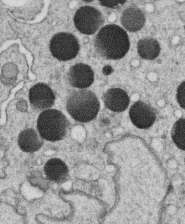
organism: C. elegans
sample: C. elegans oocyte; sperm cells